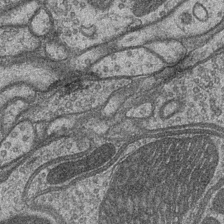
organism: Drosophila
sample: Optic medulla